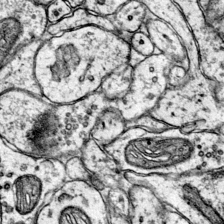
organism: Mouse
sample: Primary visual cortex